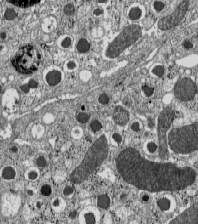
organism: C57BL Mouse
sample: Pancreatic islet